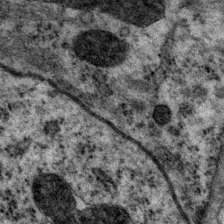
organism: P. pacificus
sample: Pharynx